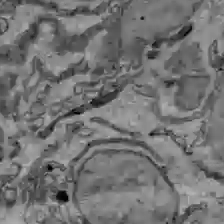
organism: C57BL Mouse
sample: Liver